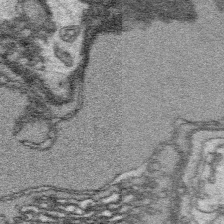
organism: Platynereis dumerilii